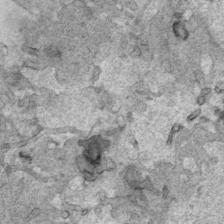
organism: Human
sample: Mitochondria in HCT116 cells